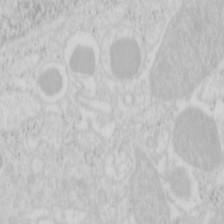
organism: Mouse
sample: Pancreas